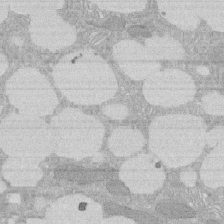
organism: Rat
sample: Salivary granule